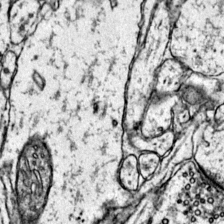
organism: Mouse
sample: Primary visual cortex